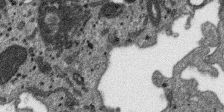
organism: Human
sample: Lung epithelial cells infected with SARS-CoV-2